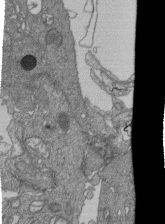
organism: Human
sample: Retinal organoid Rod and Cone cells